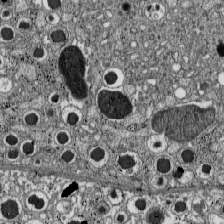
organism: C57BL Mouse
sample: Pancreatic islet